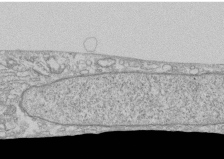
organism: Human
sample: CRL-1474